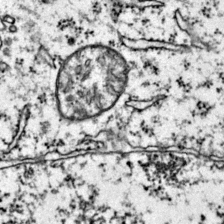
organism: Mouse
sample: Primary visual cortex